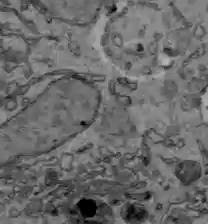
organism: C57BL Mouse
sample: Liver